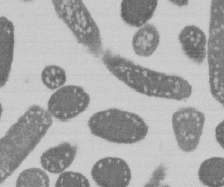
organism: E. coli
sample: Bacterial nucleoid